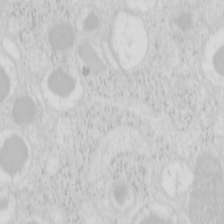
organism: Mouse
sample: Pancreas